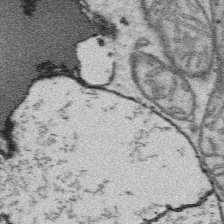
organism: Platynereis dumerilii